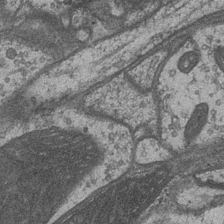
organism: Drosophila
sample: Optic medulla